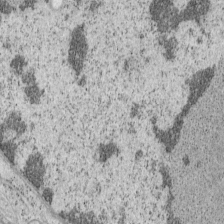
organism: Mouse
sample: OT-I killer T cells with ID8 ovarian cancer cells